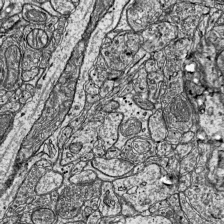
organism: Mouse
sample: Visual Cortex